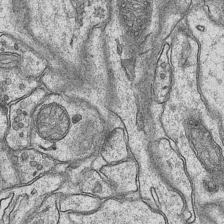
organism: Mouse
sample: CA1 Hippocampus